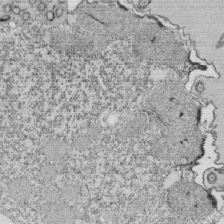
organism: Tetrahymena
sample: Cilia in tetrahymena